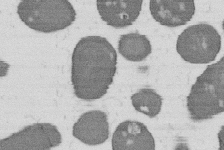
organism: B. subtilis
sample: Bacterial spore